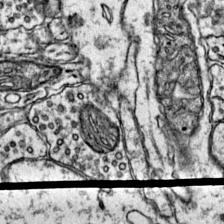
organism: Mouse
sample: Primary visual cortex